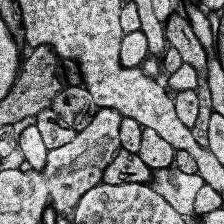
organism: Human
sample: Temporal Lobe